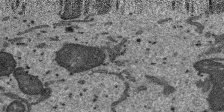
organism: Human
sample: Lung epithelial cells infected with SARS-CoV-2